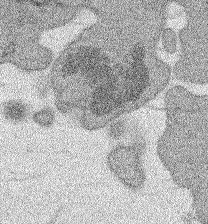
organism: Human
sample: HeLa cells